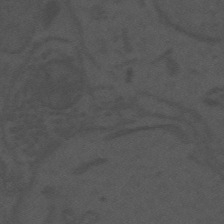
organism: Mouse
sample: Suprachiasmatic nucleus